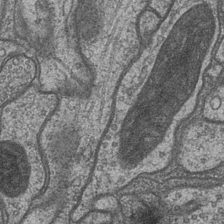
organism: Drosophila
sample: Optic medulla